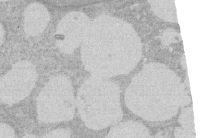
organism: Rat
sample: Salivary granule